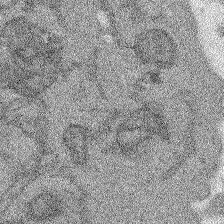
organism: Human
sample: HeLa cells